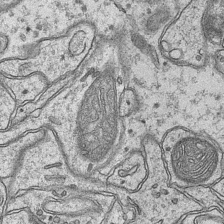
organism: Mouse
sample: CA1 Hippocampus